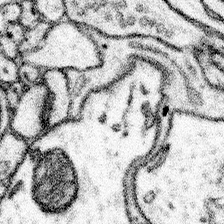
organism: Mouse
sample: Somatosensory cortex neuropil